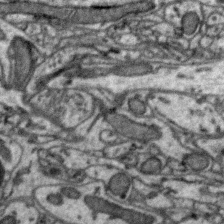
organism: Zebra finch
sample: Brain